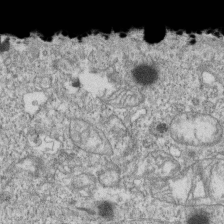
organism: Human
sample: HeLa cell HIV synapse